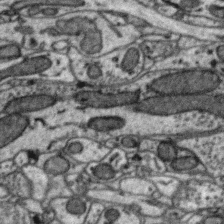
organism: Zebra finch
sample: Brain